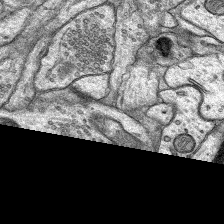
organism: Rat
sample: Hippocampus